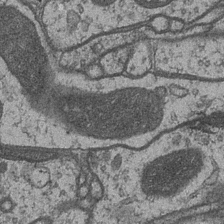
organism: Drosophila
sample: Optic medulla